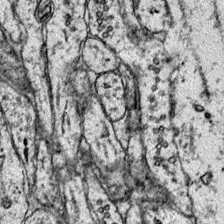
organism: Mouse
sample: Primary visual cortex